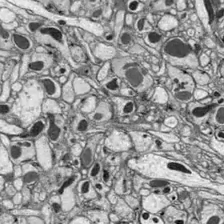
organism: Drosophila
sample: Optic lobe